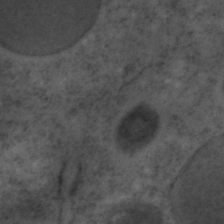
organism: C. elegans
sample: C. elegans embryo